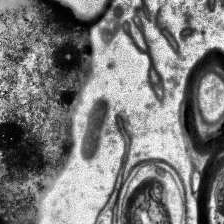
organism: Human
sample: Temporal Lobe